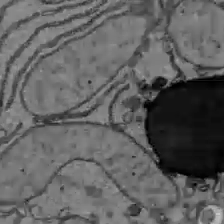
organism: C57BL Mouse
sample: Liver